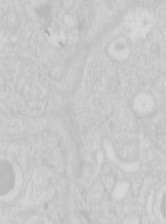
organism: Mouse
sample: Pancreas